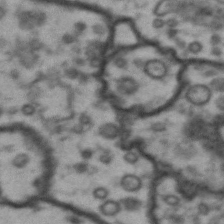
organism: Drosophila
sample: Brain